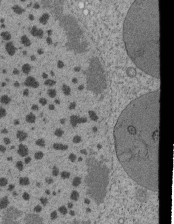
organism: Tetrahymena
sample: Cilia in tetrahymena